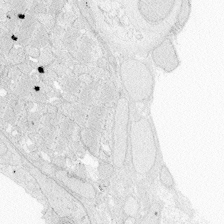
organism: Zebrafish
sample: Whole-Brain